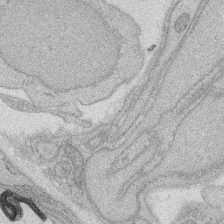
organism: Rat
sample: Salivary granule